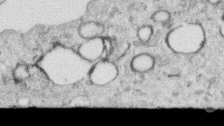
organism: Human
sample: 1205lu cells